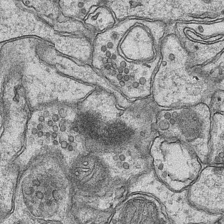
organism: Mouse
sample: CA1 Hippocampus